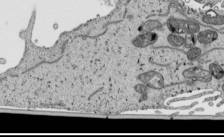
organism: Human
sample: Mitochondria in HCT116 cells